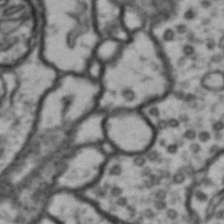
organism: Drosophila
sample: Brain